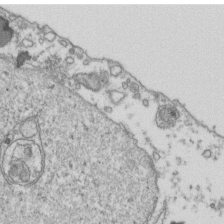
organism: Human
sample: Activated Jurkat CD4+ T cells